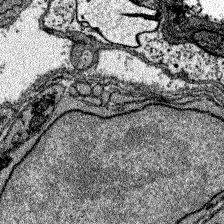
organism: Zebrafish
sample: Larval olfactory bulb